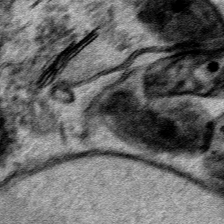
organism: Human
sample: Mitochondria in HCT116 cells